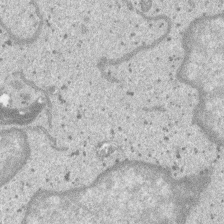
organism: Human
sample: Lung epithelial cells infected with SARS-CoV-2